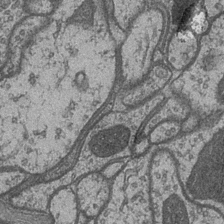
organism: Drosophila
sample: Optic medulla